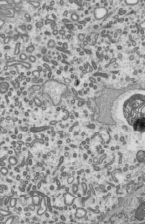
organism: Mouse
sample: Mouse epididymis efferent ductule cilia